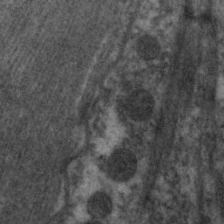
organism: C. elegans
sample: Pharynx